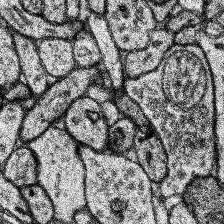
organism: Human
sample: Temporal Lobe